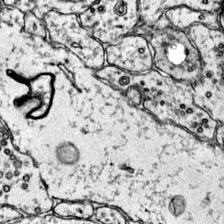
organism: Mouse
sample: Primary visual cortex